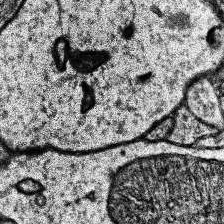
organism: Human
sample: Temporal Lobe